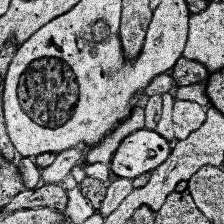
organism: Human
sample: Temporal Lobe